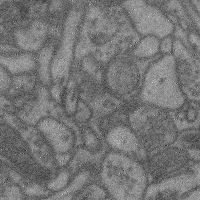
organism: Mouse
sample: Cerebral cortex